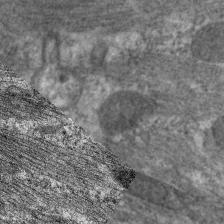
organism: C. elegans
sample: Pharynx